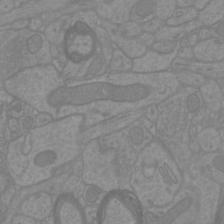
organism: Mouse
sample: Cortical neurons